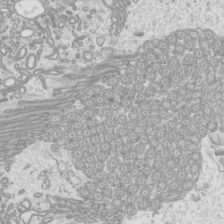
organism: Mouse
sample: Cilia; mouse epididymis